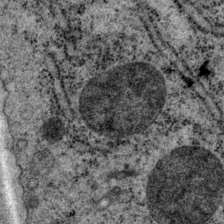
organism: P. pacificus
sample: Pharynx